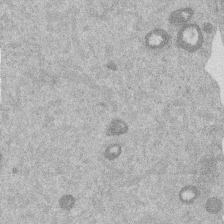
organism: Mouse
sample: Dividing mouse embryo 1 cell stage